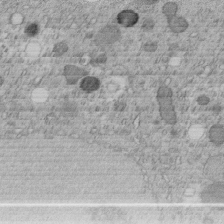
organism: C. elegans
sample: C. elegans embryo early stage